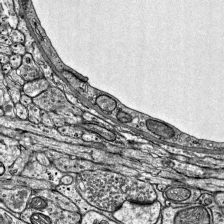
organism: Mouse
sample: Visual Cortex